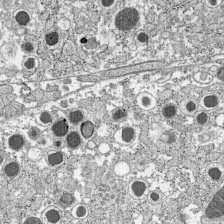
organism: C57BL Mouse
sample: Pancreatic islet